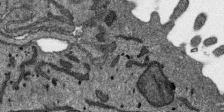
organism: Human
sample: Lung epithelial cells, uninfected (mock) control